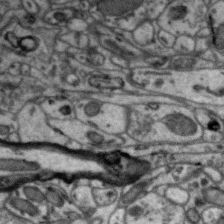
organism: Zebra finch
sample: Brain